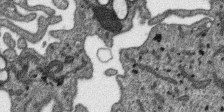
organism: Human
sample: Lung epithelial cells infected with SARS-CoV-2